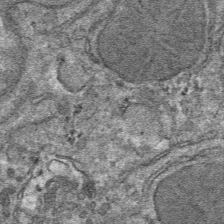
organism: Mouse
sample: Mouse hepatocytes